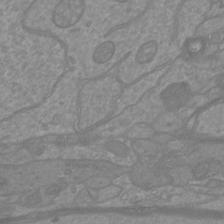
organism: Mouse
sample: Cortical neurons